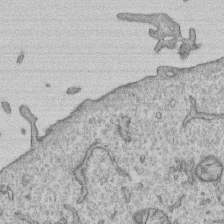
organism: Human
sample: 1205lu cells